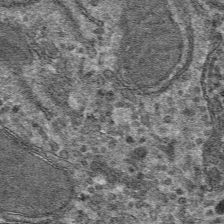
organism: Mouse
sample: Mouse hepatocytes